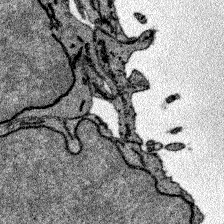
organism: Zebrafish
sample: Larval olfactory bulb